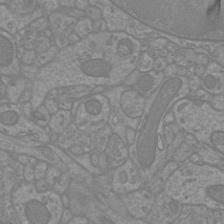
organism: Mouse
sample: Cortical neurons